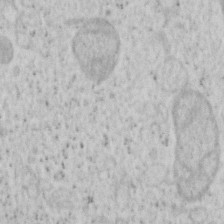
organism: Human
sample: HeLa cells